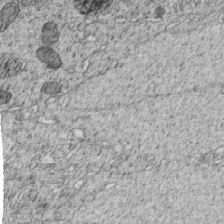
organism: C. elegans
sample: C. elegans embryo early stage